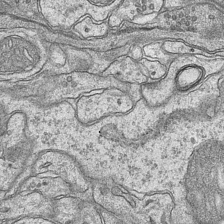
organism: Mouse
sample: CA1 Hippocampus